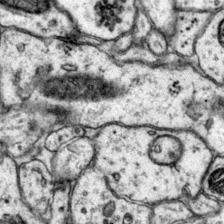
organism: Mouse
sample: Primary visual cortex